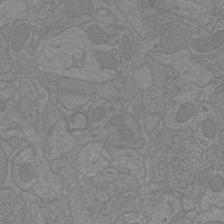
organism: Mouse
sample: Cortical neurons